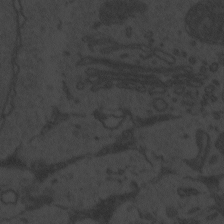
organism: Zebrafish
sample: Macrophage infected with Toxoplasma gondii